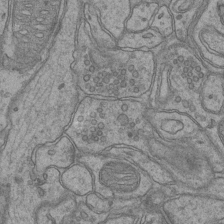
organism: Mouse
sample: CA1 Hippocampus